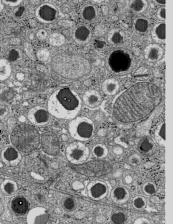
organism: C57BL Mouse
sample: Pancreatic islet